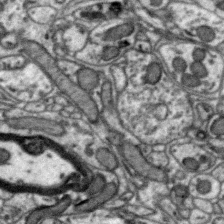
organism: Zebra finch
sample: Brain